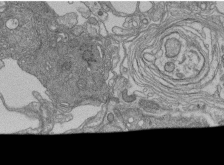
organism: Human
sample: Retinal organoid Rod and Cone cells